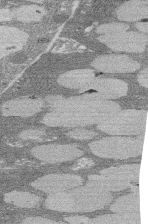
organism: Rat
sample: Salivary granule